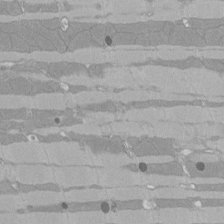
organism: Rat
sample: Left ventricle